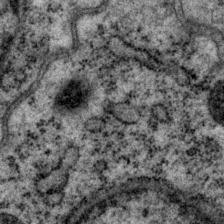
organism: P. pacificus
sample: Pharynx